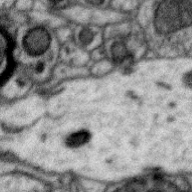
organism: Zebra finch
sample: Brain